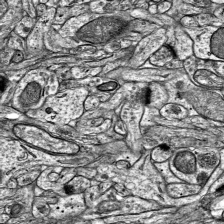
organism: Mouse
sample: Visual Cortex